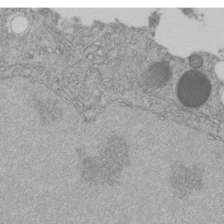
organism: C. elegans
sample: C. elegans embryo early stage